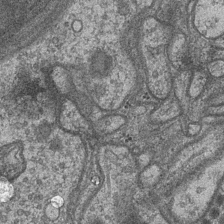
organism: Drosophila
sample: Optic medulla